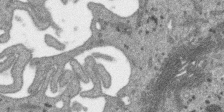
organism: Human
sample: Lung epithelial cells infected with SARS-CoV-2